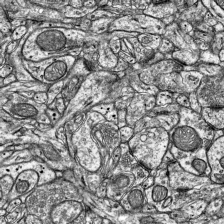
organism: Mouse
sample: Visual Cortex